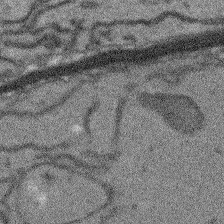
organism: Arabidopsis thaliana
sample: Root tip